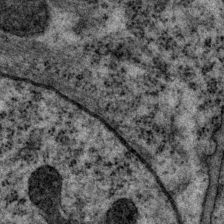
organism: P. pacificus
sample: Pharynx